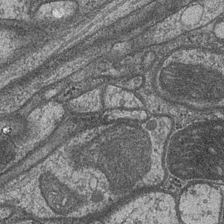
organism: Drosophila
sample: Optic medulla